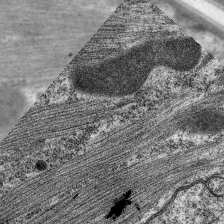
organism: C. elegans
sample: Pharynx